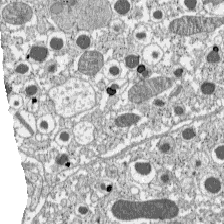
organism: C57BL Mouse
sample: Pancreatic islet